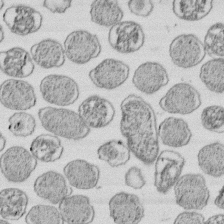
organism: E. coli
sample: Bacterial nucleoid